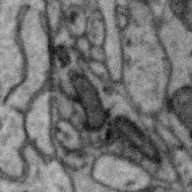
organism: Zebra finch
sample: Brain